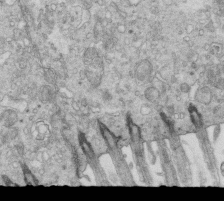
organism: Mouse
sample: Multiciliated cells